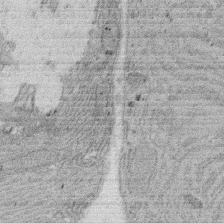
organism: Rat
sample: Salivary granule